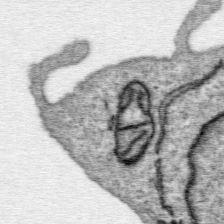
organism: Human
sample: HeLa cells